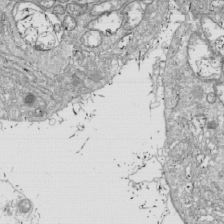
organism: Drosophila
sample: Cell division; meiosis; drosophila spermatocytes